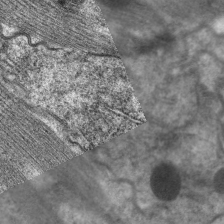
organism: C. elegans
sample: Pharynx